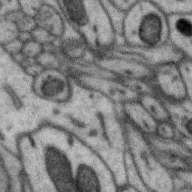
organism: Zebra finch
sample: Brain